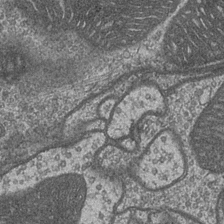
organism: Drosophila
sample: Optic medulla